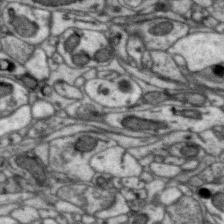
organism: Zebra finch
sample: Brain